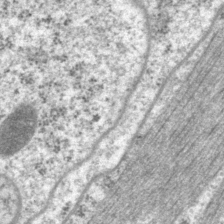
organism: P. pacificus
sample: Pharynx